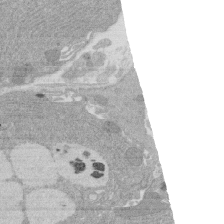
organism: Rat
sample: Salivary granule